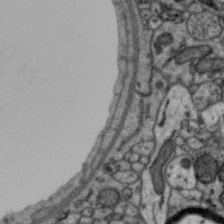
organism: Zebra finch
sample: Brain